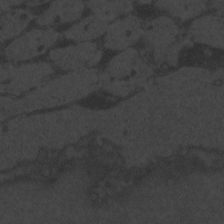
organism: Zebrafish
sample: Macrophage infected with Toxoplasma gondii